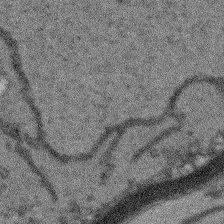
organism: Arabidopsis thaliana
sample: Root tip